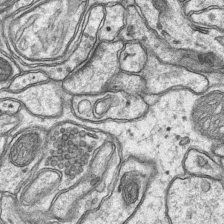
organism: Mouse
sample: CA1 Hippocampus